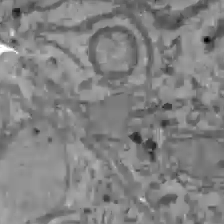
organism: C57BL Mouse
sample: Liver